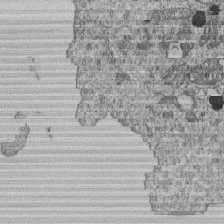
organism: Human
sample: MDA-MB-231 cells